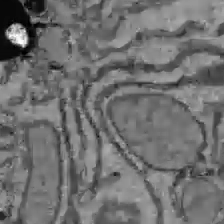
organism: C57BL Mouse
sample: Liver